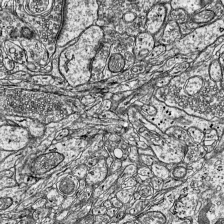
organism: Mouse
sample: Visual Cortex